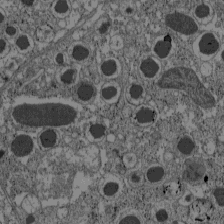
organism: C57BL Mouse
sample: Pancreatic islet